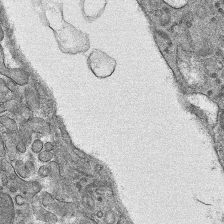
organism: Mouse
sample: Mouse hepatocytes